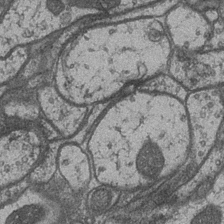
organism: Drosophila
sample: Optic medulla